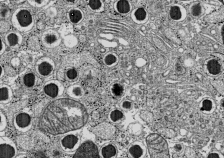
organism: C57BL Mouse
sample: Pancreatic islet